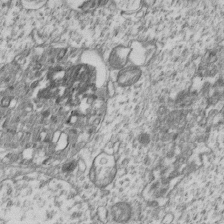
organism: Human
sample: MDA-MB-231 cells